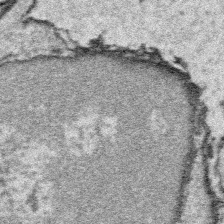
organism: Platynereis dumerilii